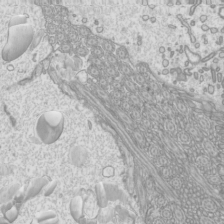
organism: Mouse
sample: Cilia; mouse epididymis